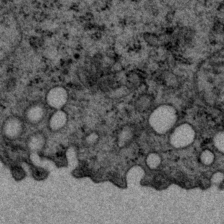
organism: P. pacificus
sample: Pharynx